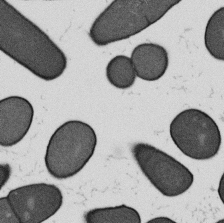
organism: B. subtilis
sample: Bacterial spore